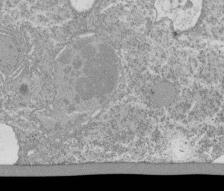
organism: Tetrahymena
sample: Cilia in tetrahymena